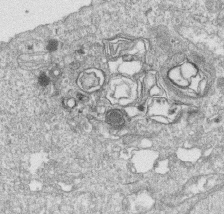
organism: Human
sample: HeLa cell HIV synapse